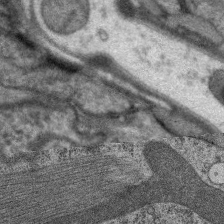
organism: C. elegans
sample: Pharynx